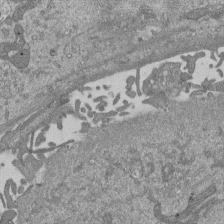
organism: Mouse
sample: ED-1 cell nuclei; centrioles